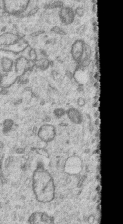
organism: Human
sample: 1205lu cells